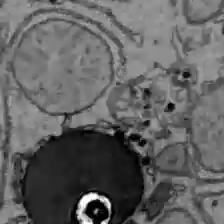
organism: C57BL Mouse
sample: Liver